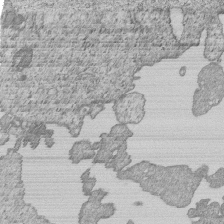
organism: Human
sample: MDA-MB-231 cells